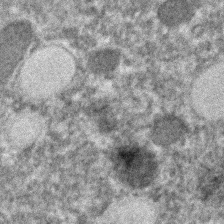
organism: C. elegans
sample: C. elegans embryo